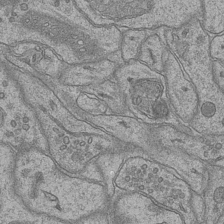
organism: Mouse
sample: CA1 Hippocampus